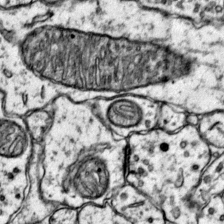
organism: Mouse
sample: Primary visual cortex